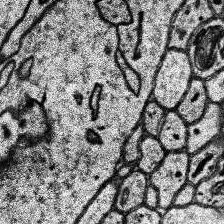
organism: Human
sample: Temporal Lobe